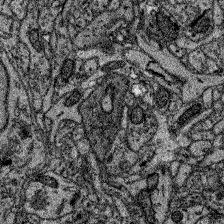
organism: Zebrafish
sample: Larval olfactory bulb